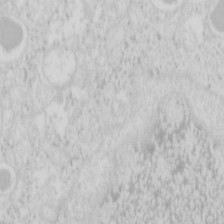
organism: Mouse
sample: Pancreas